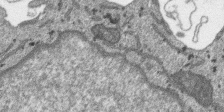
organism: Human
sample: Lung epithelial cells infected with SARS-CoV-2